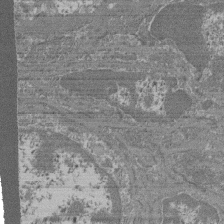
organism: Mouse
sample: Glomerulus